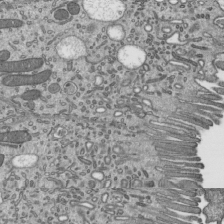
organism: Mouse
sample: Mouse epididymis efferent ductule cilia